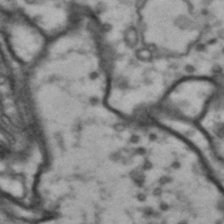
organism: Drosophila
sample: Brain